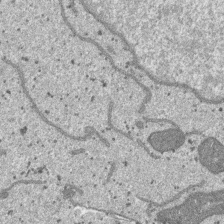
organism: Human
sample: Lung epithelial cells infected with SARS-CoV-2